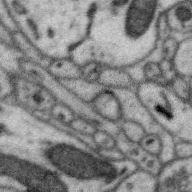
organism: Zebra finch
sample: Brain